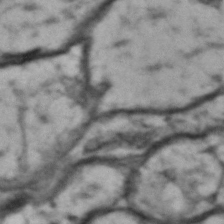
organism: Drosophila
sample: Brain